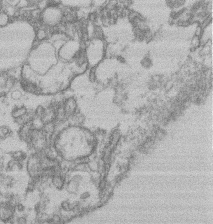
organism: Mouse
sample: T cell stromal cell synapse